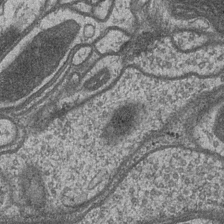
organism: Drosophila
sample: Optic medulla